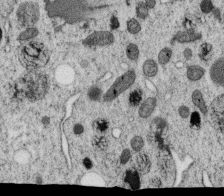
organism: C. elegans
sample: C. elegans oocyte; sperm cells